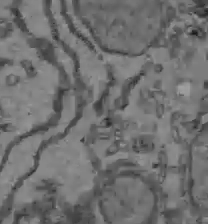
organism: C57BL Mouse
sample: Liver